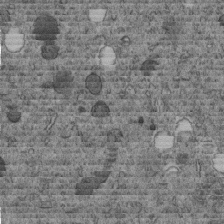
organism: C. elegans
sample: C. elegans embryo early stage